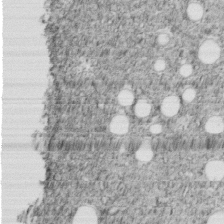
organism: C. elegans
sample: C. elegans embryo early stage